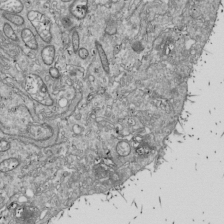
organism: Drosophila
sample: Cell division; meiosis; drosophila spermatocytes